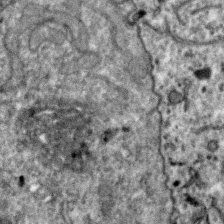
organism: Zebra finch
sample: Brain